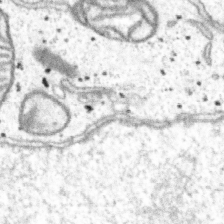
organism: Human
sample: HeLa cells